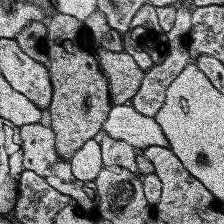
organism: Human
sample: Temporal Lobe